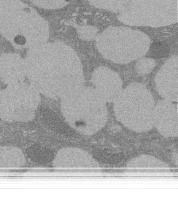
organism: Rat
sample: Salivary granule